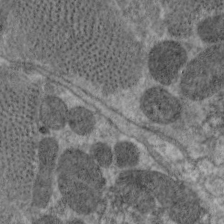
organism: C. elegans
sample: Pharynx